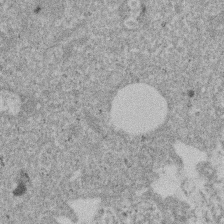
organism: Mouse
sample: Dividing mouse embryo 1 cell stage